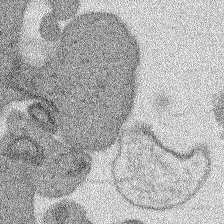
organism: Human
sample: HeLa cells